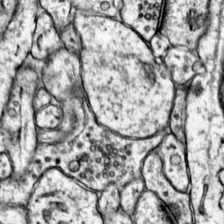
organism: Mouse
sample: Primary visual cortex